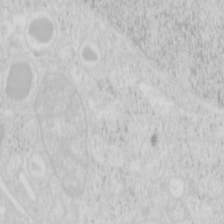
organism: Mouse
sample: Pancreas